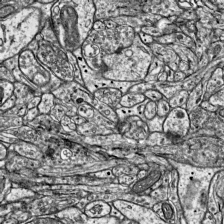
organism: Mouse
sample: Visual Cortex